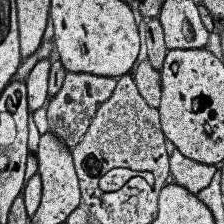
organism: Human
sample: Temporal Lobe